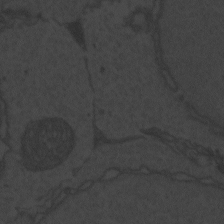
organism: Zebrafish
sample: Macrophage infected with Toxoplasma gondii